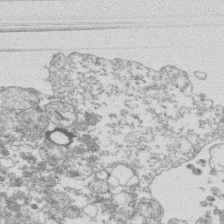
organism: Human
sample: HeLa cell HIV synapse